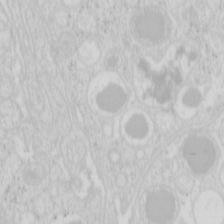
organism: Mouse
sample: Pancreas